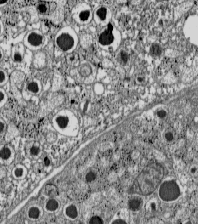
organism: C57BL Mouse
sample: Pancreatic islet